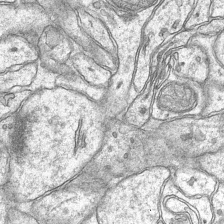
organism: Mouse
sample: CA1 Hippocampus